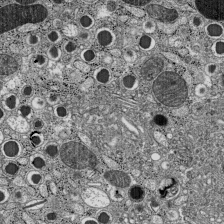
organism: C57BL Mouse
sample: Pancreatic islet